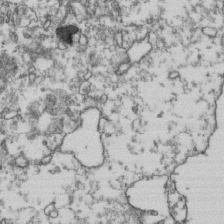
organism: Human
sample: Activated Jurkat CD4+ T cells